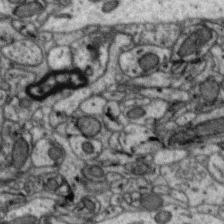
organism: Zebra finch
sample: Brain